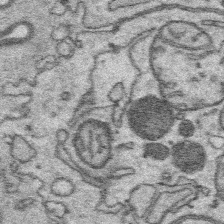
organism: Platynereis dumerilii